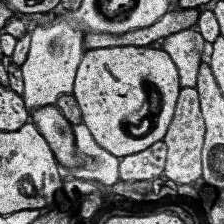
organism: Human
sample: Temporal Lobe